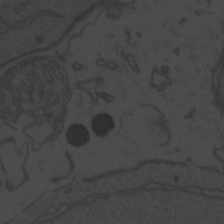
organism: Zebrafish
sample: Macrophage infected with Toxoplasma gondii